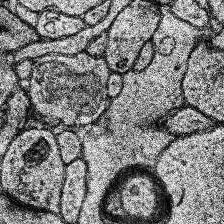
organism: Human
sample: Temporal Lobe